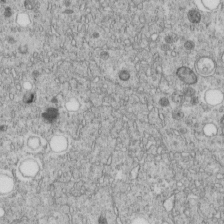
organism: C. elegans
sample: C. elegans embryo early stage